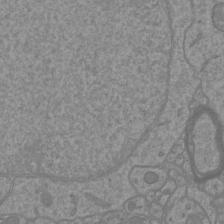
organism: Mouse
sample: Cortical neurons